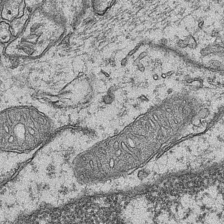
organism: Mouse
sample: CA1 Hippocampus